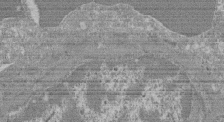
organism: Mouse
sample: Glomerulus